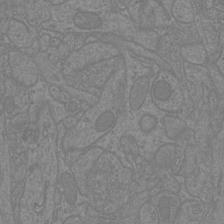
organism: Mouse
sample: Cortical neurons